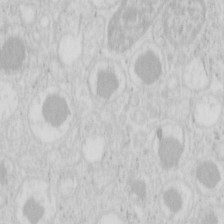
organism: Mouse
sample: Pancreas